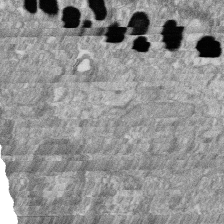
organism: Zebrafish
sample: Cilia; retinal pigment epithelium